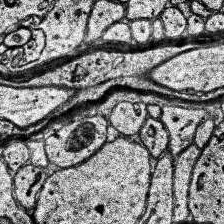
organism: Human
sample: Temporal Lobe